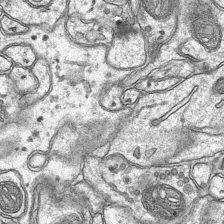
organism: Mouse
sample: CA1 Hippocampus